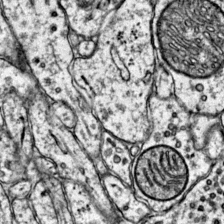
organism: Mouse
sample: Primary visual cortex